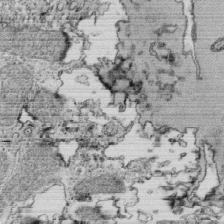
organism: Tetrahymena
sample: Cilia in tetrahymena